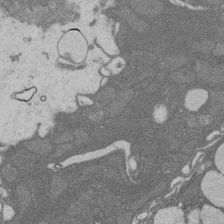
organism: Rat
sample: Salivary granule